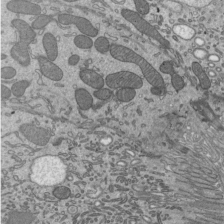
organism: Mouse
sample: Mouse epididymis efferent ductule cilia